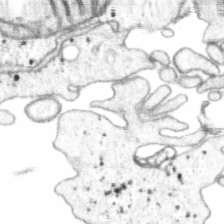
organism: Human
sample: HeLa cells